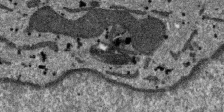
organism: Human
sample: Lung epithelial cells, uninfected (mock) control